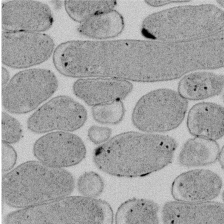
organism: E. coli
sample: Bacterial nucleoid